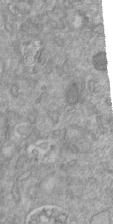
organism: Mouse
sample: ED-1 cell nuclei; centrioles